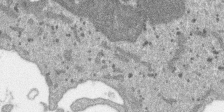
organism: Human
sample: Lung epithelial cells infected with SARS-CoV-2